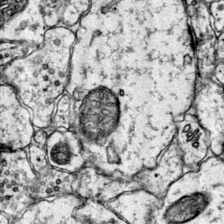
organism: Mouse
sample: Primary visual cortex